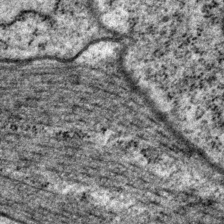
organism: P. pacificus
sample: Pharynx